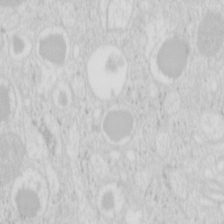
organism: Mouse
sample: Pancreas